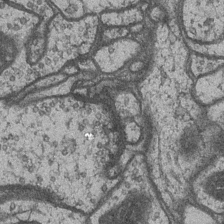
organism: Drosophila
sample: Optic medulla